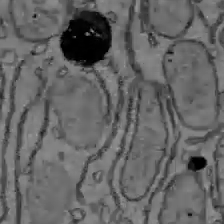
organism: C57BL Mouse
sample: Liver